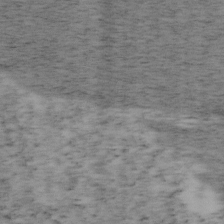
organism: Mouse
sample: OT-I killer T cells with ID8 ovarian cancer cells